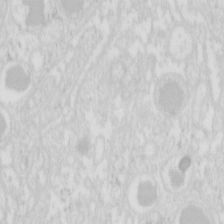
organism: Mouse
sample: Pancreas